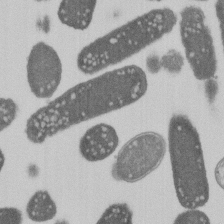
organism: E. coli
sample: Bacterial nucleoid